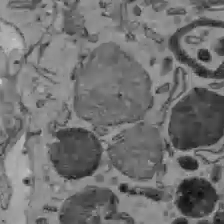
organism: C57BL Mouse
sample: Liver